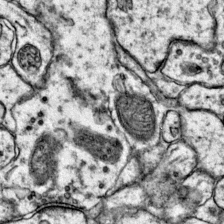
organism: Mouse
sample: Primary visual cortex